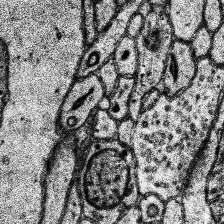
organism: Human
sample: Temporal Lobe